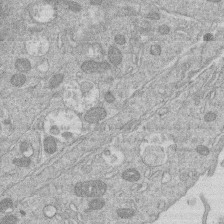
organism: Human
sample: Macrophage cells